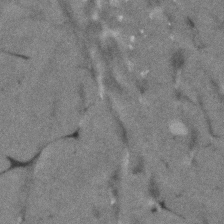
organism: Human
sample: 1205lu cells